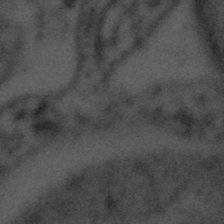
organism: Tuwongella immobilis